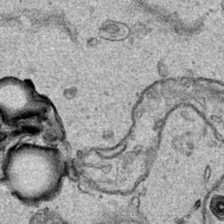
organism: Human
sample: Mitochondria in HCT116 cells